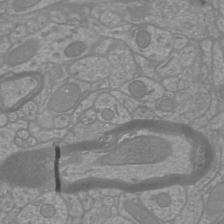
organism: Mouse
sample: Cortical neurons